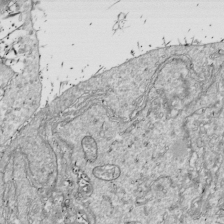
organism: Drosophila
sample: Cell division; meiosis; drosophila spermatocytes